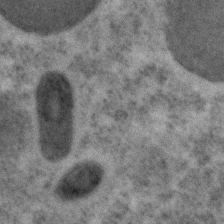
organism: C. elegans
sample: C. elegans embryo